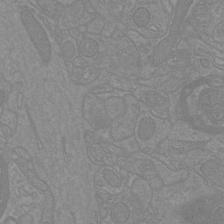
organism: Mouse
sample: Cortical neurons